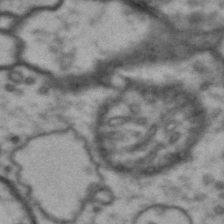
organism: Drosophila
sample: Brain